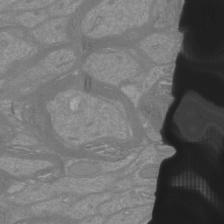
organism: Mouse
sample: Cortical neurons